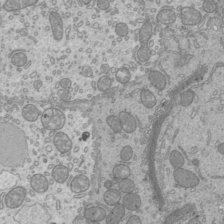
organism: Mouse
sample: Cilia; mouse epididymis